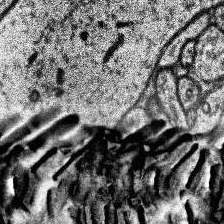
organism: Human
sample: Temporal Lobe